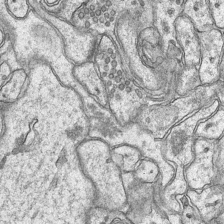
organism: Mouse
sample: CA1 Hippocampus